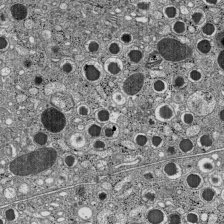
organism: C57BL Mouse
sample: Pancreatic islet